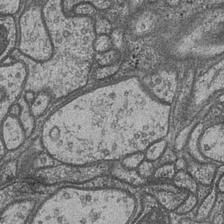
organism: Drosophila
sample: Optic medulla